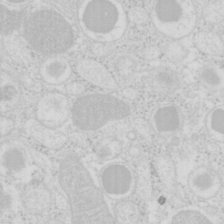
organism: Mouse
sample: Pancreas